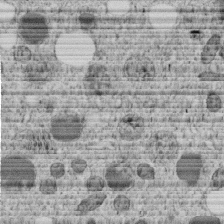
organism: C. elegans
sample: C. elegans embryo early stage